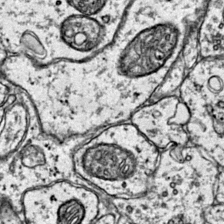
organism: Mouse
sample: Primary visual cortex